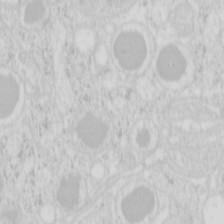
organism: Mouse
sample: Pancreas